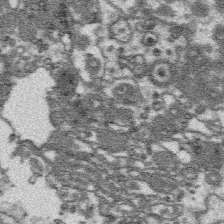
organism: Platynereis dumerilii